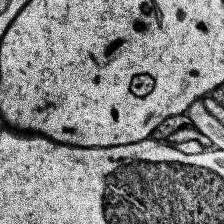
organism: Human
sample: Temporal Lobe